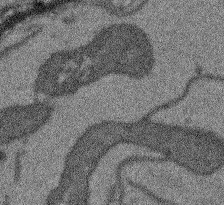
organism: Arabidopsis thaliana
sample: Root tip